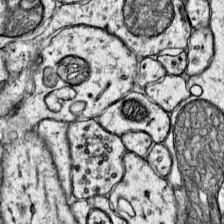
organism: Mouse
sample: Primary visual cortex